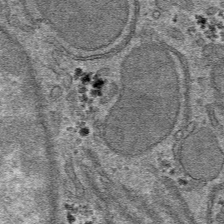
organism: Mouse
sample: Mouse hepatocytes